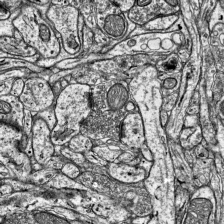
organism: Mouse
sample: Visual Cortex